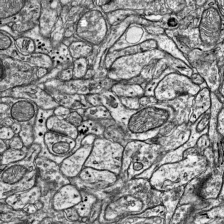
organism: Mouse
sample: Visual Cortex